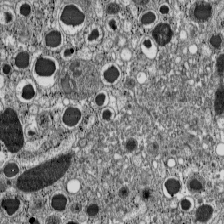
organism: C57BL Mouse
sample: Pancreatic islet